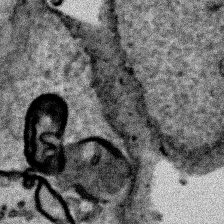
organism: Human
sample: Mitochondria in HCT116 cells